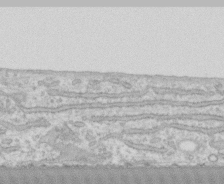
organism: Human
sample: CRL-1474